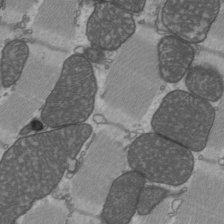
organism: C57BL Mouse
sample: Heart